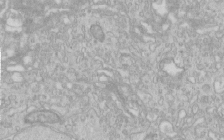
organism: Human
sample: Centriole in RPE cells